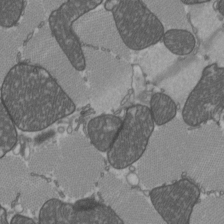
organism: C57BL Mouse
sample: Heart